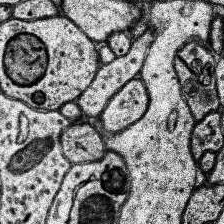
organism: Human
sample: Temporal Lobe